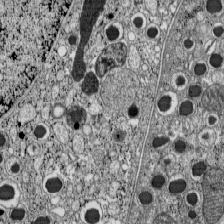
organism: C57BL Mouse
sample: Pancreatic islet